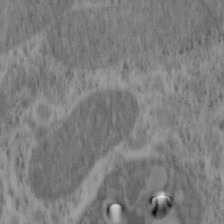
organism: Mouse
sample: OT-I killer T cells with ID8 ovarian cancer cells